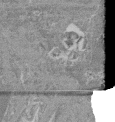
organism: Mouse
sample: Glomerulus